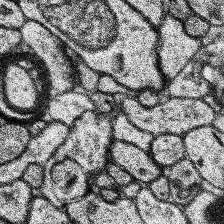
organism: Human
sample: Temporal Lobe